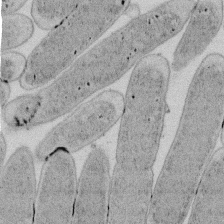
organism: E. coli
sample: Bacterial nucleoid